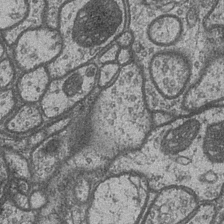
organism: Drosophila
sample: Optic medulla